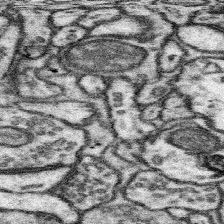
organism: Mouse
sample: Somatosensory cortex neuropil